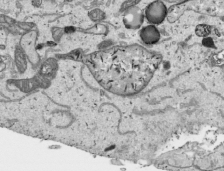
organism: Human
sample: Mitochondria in HCT116 cells